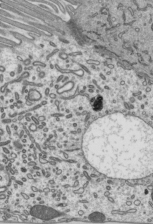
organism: Mouse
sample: Mouse epididymis efferent ductule cilia